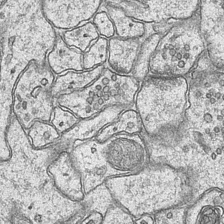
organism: Mouse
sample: CA1 Hippocampus